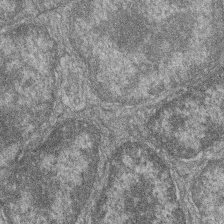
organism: Zebrafish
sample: Cilia; retinal pigment epithelium